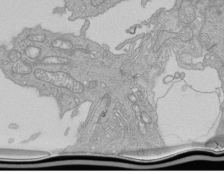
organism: Human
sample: Retinal organoid Rod and Cone cells